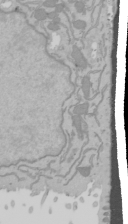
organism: Mouse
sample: Cancer cell death in ED-1 cells